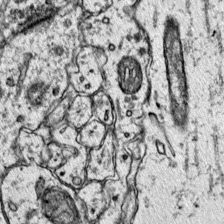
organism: Mouse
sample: Primary visual cortex